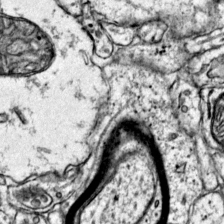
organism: Mouse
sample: Primary visual cortex